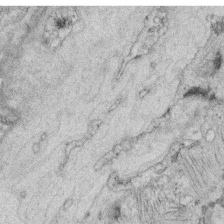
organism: C. elegans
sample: C. elegans oocyte; sperm cells